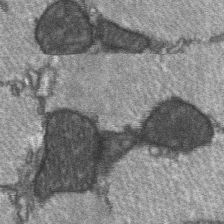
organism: C57BL Mouse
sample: Soleus